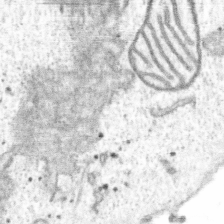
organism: Human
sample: HeLa cells